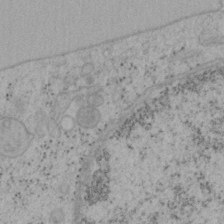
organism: Human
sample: HeLa cells